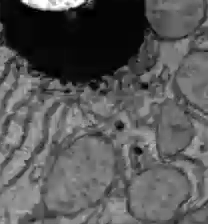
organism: C57BL Mouse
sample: Liver